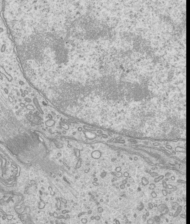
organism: Mouse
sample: Cilia; mouse epididymis